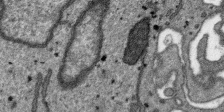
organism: Human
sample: Lung epithelial cells, uninfected (mock) control